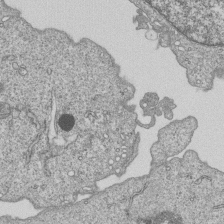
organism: Human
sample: MDA-MB-231 cells